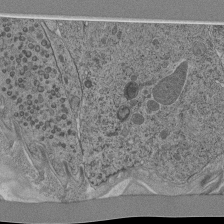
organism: C. elegans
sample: C. elegans pharynx